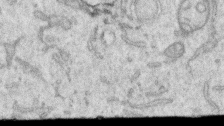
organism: Human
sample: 1205lu cells